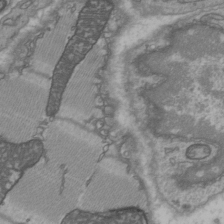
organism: C57BL Mouse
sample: Heart